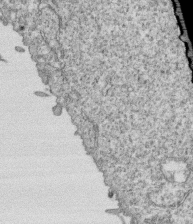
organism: Human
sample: HeLa cell HIV synapse